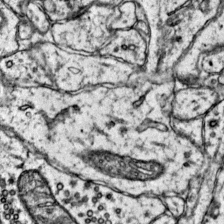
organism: Mouse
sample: Primary visual cortex